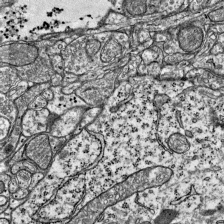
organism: Mouse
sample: Visual Cortex